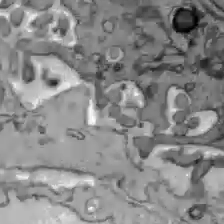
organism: C57BL Mouse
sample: Liver